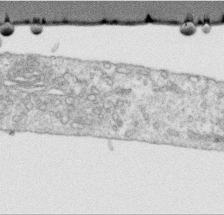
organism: Human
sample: Centriole in RPE cells